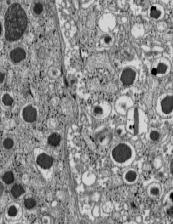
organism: C57BL Mouse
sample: Pancreatic islet